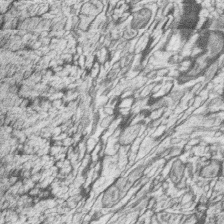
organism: Zebrafish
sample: synaptic ribbons in rod cells and cone cells